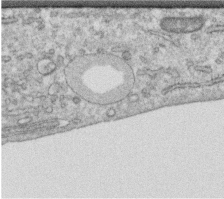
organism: Human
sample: Centriole in RPE cells